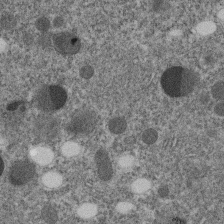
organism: C. elegans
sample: C. elegans embryo early stage